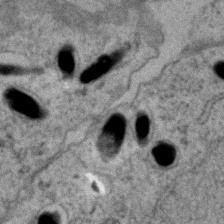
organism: Zebrafish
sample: Zebrafish embryo